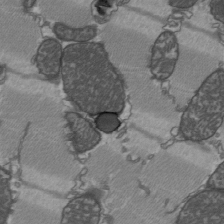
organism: C57BL Mouse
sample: Heart